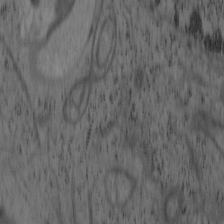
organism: Human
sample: HeLa cells